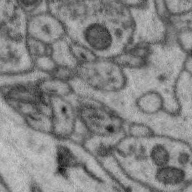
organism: Zebra finch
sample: Brain